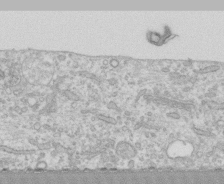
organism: Human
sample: CRL-1474